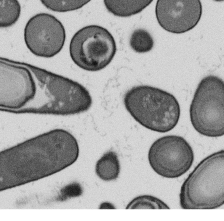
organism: B. subtilis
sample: Bacterial spore